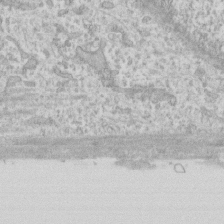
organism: Human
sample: Fibroblast cells